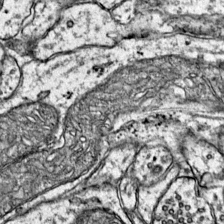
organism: Mouse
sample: Primary visual cortex